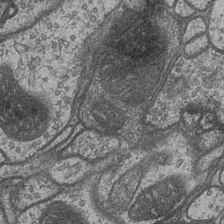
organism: Drosophila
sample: Optic medulla